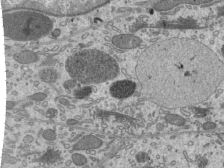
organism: Mouse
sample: Mouse epididymis efferent ductule cilia